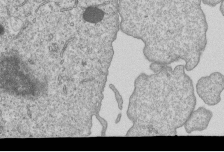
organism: Human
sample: MDA-MB-231 cells